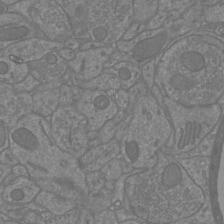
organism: Mouse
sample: Cortical neurons